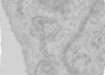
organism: Human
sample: Centriole in RPE cells